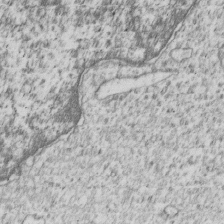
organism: Human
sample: MDA-MB-231 cells